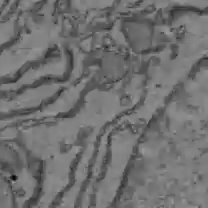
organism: C57BL Mouse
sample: Liver